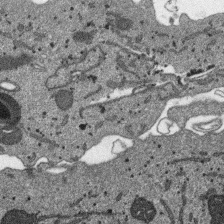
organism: Human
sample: Lung epithelial cells infected with SARS-CoV-2